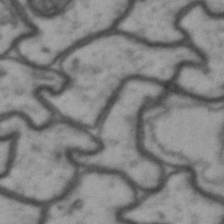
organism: Drosophila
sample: Brain